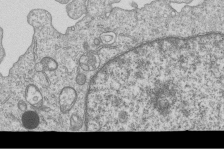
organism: Human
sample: MDA-MB-231 cells